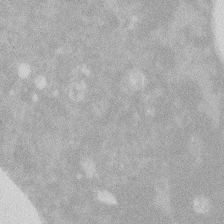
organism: Zebrafish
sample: Macrophage